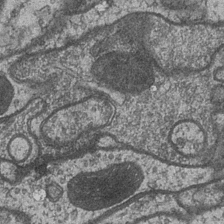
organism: Drosophila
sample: Optic medulla